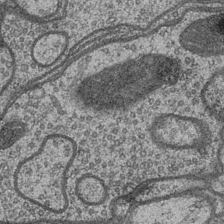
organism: Drosophila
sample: Optic medulla